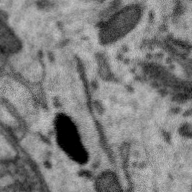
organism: Zebra finch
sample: Brain